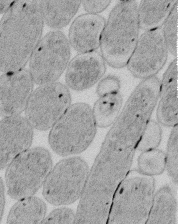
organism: E. coli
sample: Bacterial nucleoid